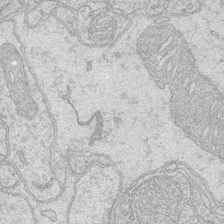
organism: Mouse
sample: CA1 Hippocampus